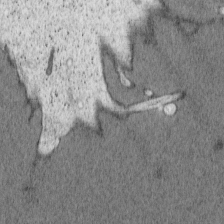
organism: African green monkey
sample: COS-7 cells